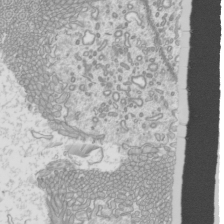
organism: Mouse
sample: Cilia; mouse epididymis